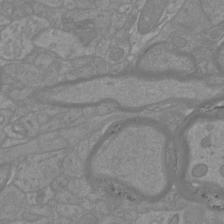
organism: Mouse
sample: Cortical neurons